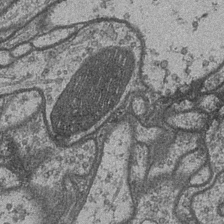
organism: Drosophila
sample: Optic medulla